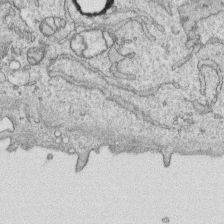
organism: Human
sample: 1205lu cells